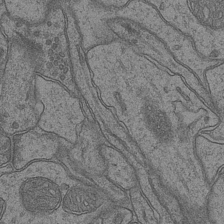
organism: Mouse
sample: CA1 Hippocampus